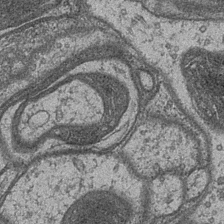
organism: Drosophila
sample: Optic medulla